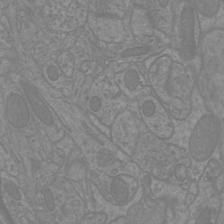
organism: Mouse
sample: Cortical neurons